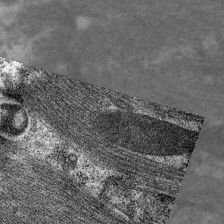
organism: C. elegans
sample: Pharynx